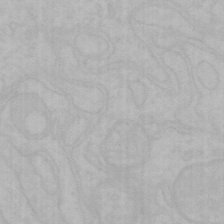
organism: Mouse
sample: Choroid plexus